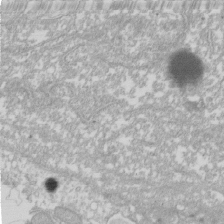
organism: Xenopus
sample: Cilia; centrioles in frog embryo cells